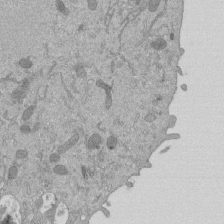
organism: Mouse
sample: ED-1 cell nuclei; centrioles